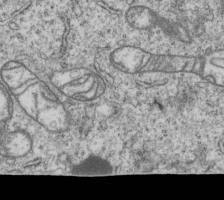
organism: Human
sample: MDA-MB-231 cells